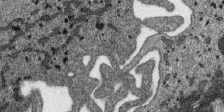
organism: Human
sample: Lung epithelial cells infected with SARS-CoV-2